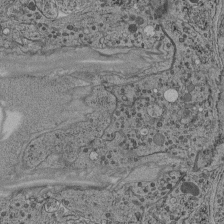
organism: C. elegans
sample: C. elegans pharynx